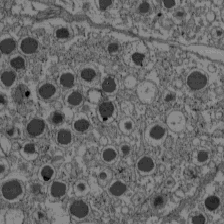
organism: C57BL Mouse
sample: Pancreatic islet